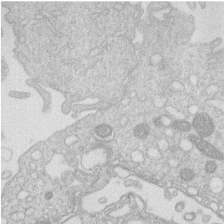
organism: Human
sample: Macrophage cells